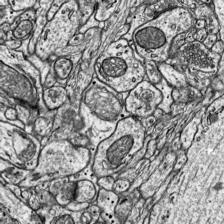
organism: Mouse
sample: Visual Cortex